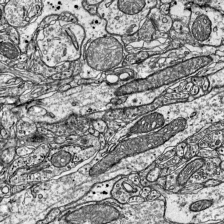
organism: Mouse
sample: Visual Cortex